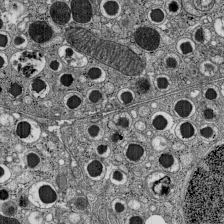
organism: C57BL Mouse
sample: Pancreatic islet